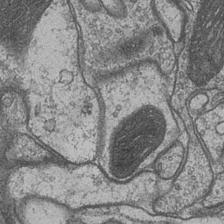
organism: Drosophila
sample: Optic medulla